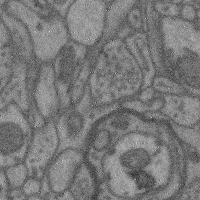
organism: Mouse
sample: Cerebral cortex